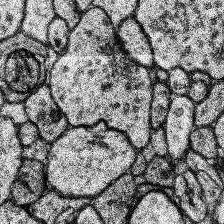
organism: Human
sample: Temporal Lobe